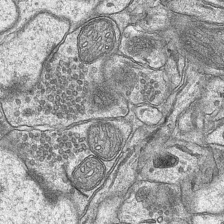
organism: Mouse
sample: CA1 Hippocampus